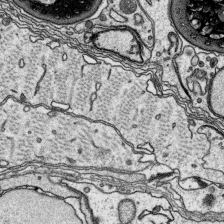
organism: Platynereis dumerilii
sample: Parapodia